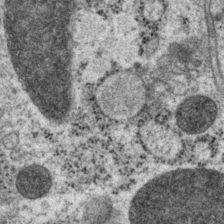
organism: P. pacificus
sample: Pharynx